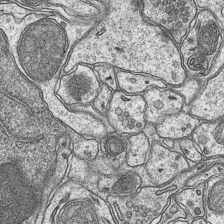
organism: Mouse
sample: CA1 Hippocampus